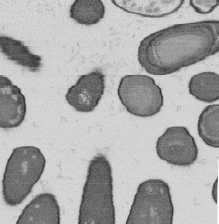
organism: B. subtilis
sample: Bacterial spore